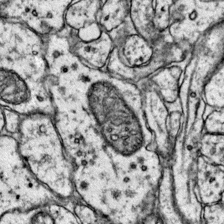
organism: Mouse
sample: Primary visual cortex